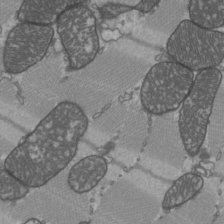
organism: C57BL Mouse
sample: Heart